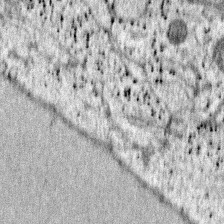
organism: Human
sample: HeLa cells